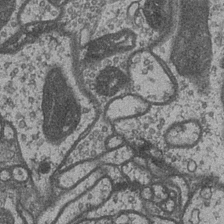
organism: Drosophila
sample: Optic medulla